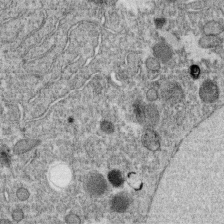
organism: C. elegans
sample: C. elegans oocyte; sperm cells